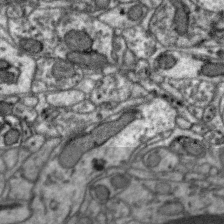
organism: Zebra finch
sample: Brain